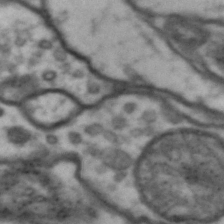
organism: Drosophila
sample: Brain